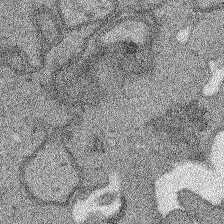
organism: Human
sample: HeLa cells